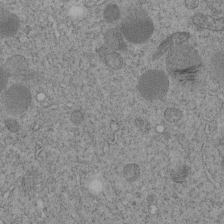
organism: C. elegans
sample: C. elegans embryo early stage